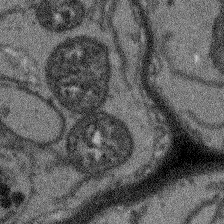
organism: Arabidopsis thaliana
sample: Root tip